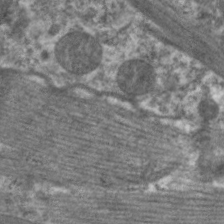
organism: C. elegans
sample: Pharynx